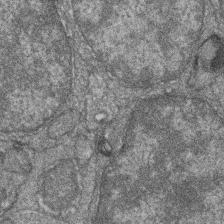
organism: Zebrafish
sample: Cilia; retinal pigment epithelium